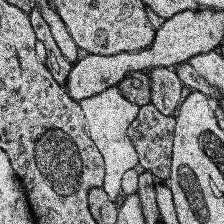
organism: Human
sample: Temporal Lobe